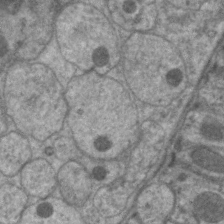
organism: C. elegans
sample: Pharynx